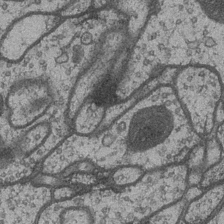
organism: Drosophila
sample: Optic medulla